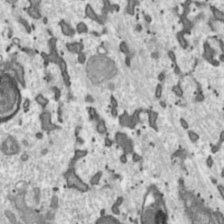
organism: Toxoplasma gondii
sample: Parasites in a vacuole inside a host cell